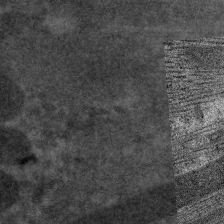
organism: C. elegans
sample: Pharynx